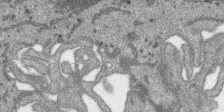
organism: Human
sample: Lung epithelial cells infected with SARS-CoV-2